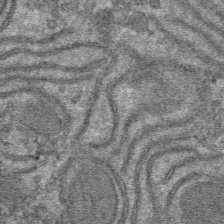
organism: Mouse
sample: Mouse hepatocytes